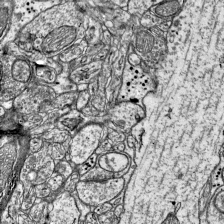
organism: Mouse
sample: Visual Cortex